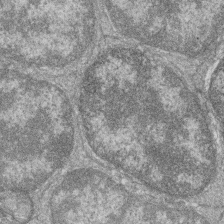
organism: Zebrafish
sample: Cilia; retinal pigment epithelium